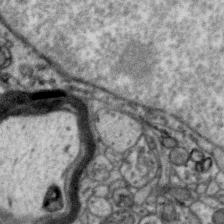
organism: Zebra finch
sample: Brain